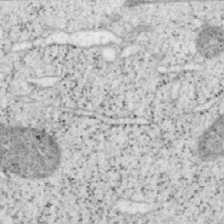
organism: Mouse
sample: OT-I killer T cells with ID8 ovarian cancer cells